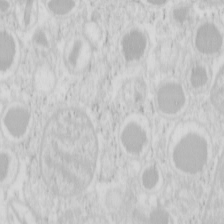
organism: Mouse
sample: Pancreas